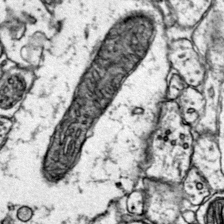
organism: Mouse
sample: Primary visual cortex